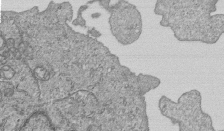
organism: Human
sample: MDA-MB-231 cells